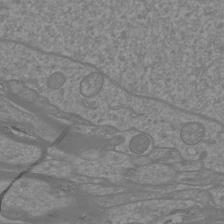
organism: Mouse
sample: Cortical neurons